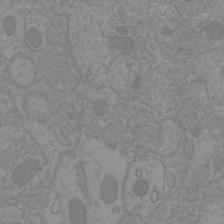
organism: Mouse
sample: Cortical neurons